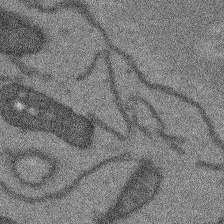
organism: Arabidopsis thaliana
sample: Root tip